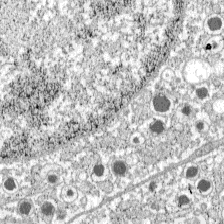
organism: C57BL Mouse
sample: Pancreatic islet